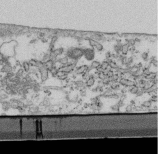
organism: Mouse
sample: Cilia; retinal pigment epithelium